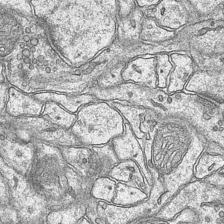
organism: Mouse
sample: CA1 Hippocampus